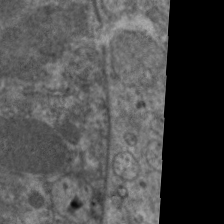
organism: C. elegans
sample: Pharynx